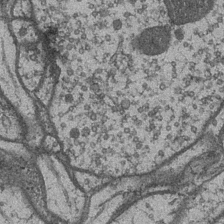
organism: Drosophila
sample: Optic medulla